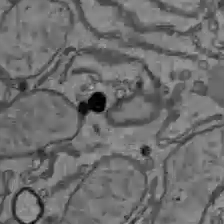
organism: C57BL Mouse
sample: Liver